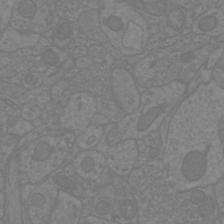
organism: Mouse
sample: Cortical neurons